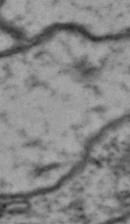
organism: Drosophila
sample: Brain